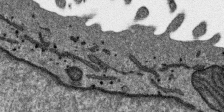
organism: Human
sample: Lung epithelial cells, uninfected (mock) control